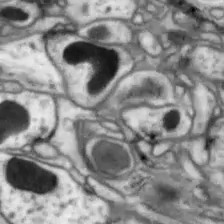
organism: Drosophila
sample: Optic lobe